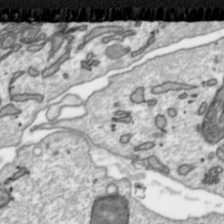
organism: Toxoplasma gondii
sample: Parasites in a vacuole inside a host cell